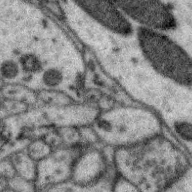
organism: Zebra finch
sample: Brain